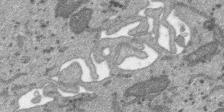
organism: Human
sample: Lung epithelial cells infected with SARS-CoV-2